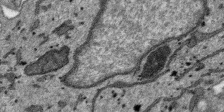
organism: Human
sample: Lung epithelial cells, uninfected (mock) control